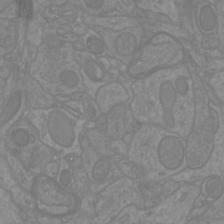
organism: Mouse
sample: Cortical neurons